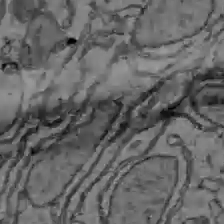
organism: C57BL Mouse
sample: Liver